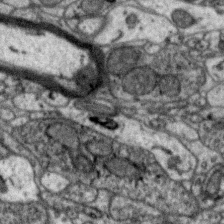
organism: Zebra finch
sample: Brain